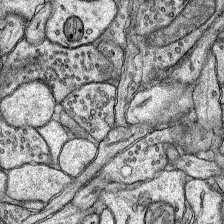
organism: Rat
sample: Hippocampus